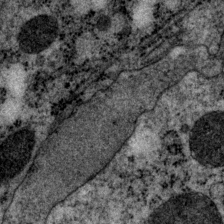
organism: P. pacificus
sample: Pharynx